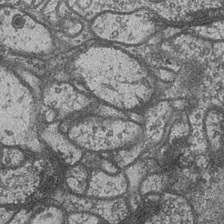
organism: Drosophila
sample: Optic medulla